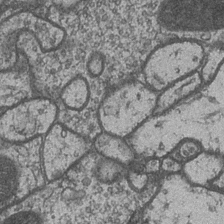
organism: Drosophila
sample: Optic medulla